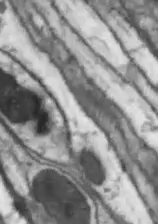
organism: Drosophila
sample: Optic lobe